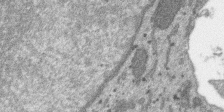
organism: Human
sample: Lung epithelial cells infected with SARS-CoV-2